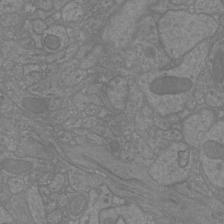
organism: Mouse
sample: Cortical neurons